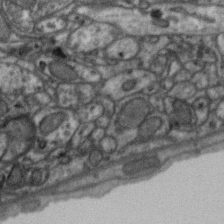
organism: Zebra finch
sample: Brain